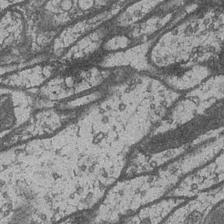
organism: Drosophila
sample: Optic medulla